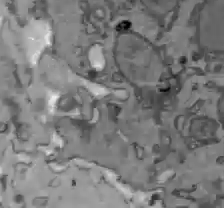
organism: C57BL Mouse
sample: Liver